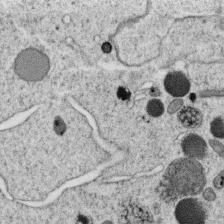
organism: C. elegans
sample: C. elegans oocyte; sperm cells